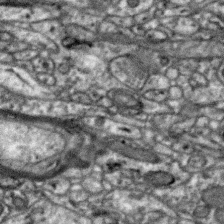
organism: Zebra finch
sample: Brain